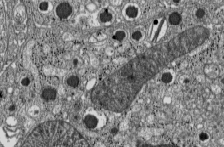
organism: C57BL Mouse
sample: Pancreatic islet